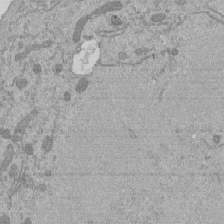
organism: Mouse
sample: ED-1 cell nuclei; centrioles